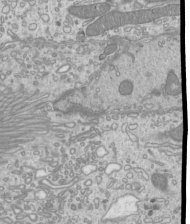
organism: Mouse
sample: Cilia; mouse epididymis